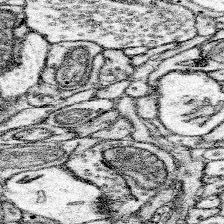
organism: Mouse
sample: Somatosensory cortex neuropil